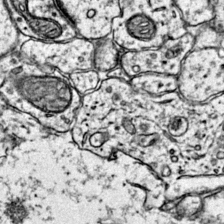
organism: Mouse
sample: Primary visual cortex